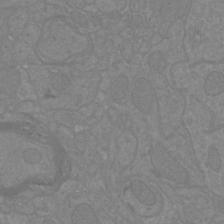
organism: Mouse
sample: Cortical neurons